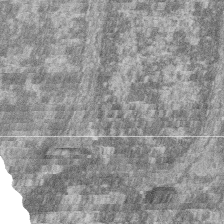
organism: Zebrafish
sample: Cilia; retinal pigment epithelium